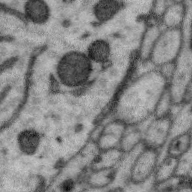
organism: Zebra finch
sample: Brain